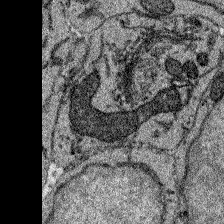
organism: Zebrafish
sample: Larval olfactory bulb